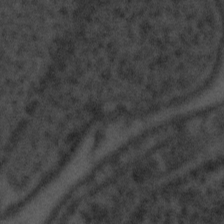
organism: Tuwongella immobilis